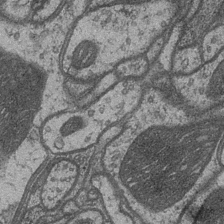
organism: Drosophila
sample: Optic medulla